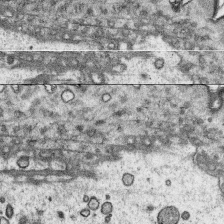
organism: Platynereis dumerilii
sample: Parapodia